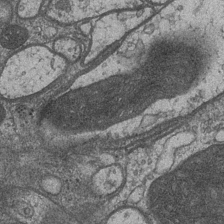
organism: Drosophila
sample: Optic medulla